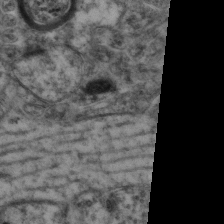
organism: Mouse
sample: Neocortex